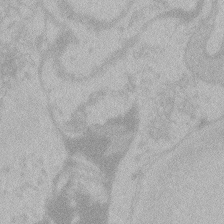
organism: Zebrafish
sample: Macrophage infected with Toxoplasma gondii